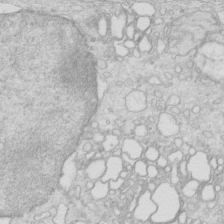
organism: Mouse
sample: Multiciliated cells